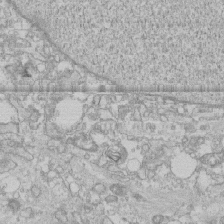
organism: Human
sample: CRL-1474